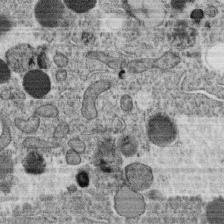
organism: C. elegans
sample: C. elegans oocyte; sperm cells